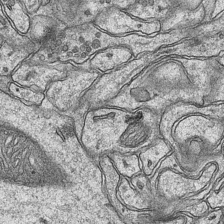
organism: Mouse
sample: CA1 Hippocampus